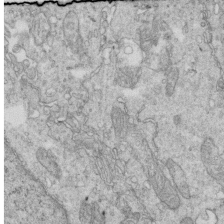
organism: Mouse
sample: Multiciliated cells